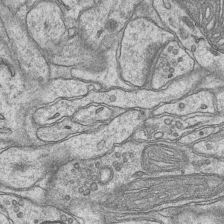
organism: Mouse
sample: CA1 Hippocampus